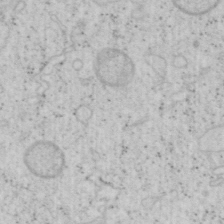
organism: Human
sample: HeLa cells